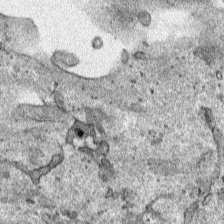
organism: Human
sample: Mitochondria in HCT116 cells